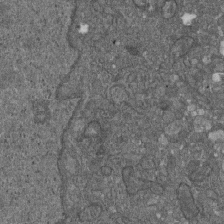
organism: Drosophila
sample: Nephrocyte